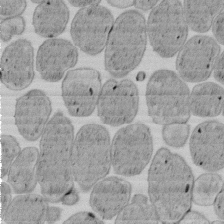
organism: E. coli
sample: Bacterial nucleoid